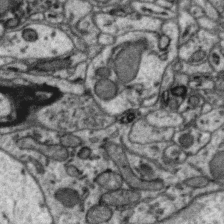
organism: Zebra finch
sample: Brain